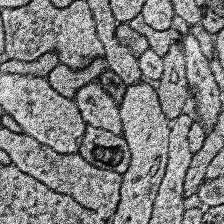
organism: Human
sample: Temporal Lobe